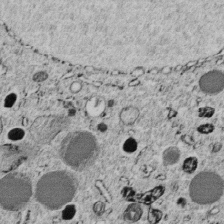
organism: C. elegans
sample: C. elegans embryo early stage